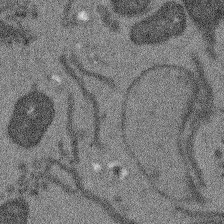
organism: Arabidopsis thaliana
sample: Root tip